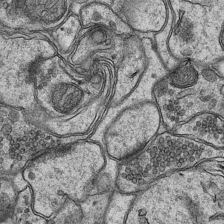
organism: Mouse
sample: CA1 Hippocampus